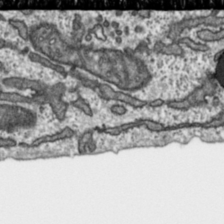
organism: Toxoplasma gondii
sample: Parasites in a vacuole inside a host cell